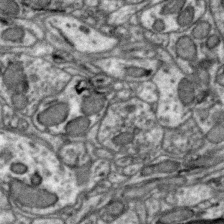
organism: Zebra finch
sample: Brain